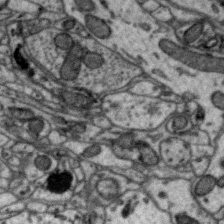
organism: Zebra finch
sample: Brain